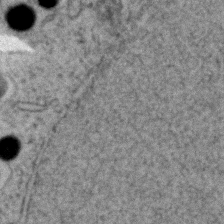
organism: Zebrafish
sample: Zebrafish embryo